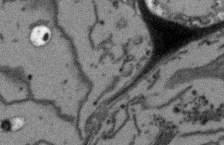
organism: Arabidopsis thaliana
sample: Root tip